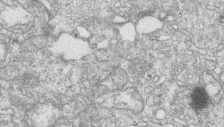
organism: Human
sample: HeLa cell HIV synapse